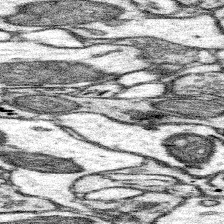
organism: Mouse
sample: Somatosensory cortex neuropil